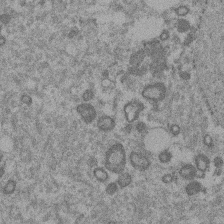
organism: Mouse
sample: Dividing mouse embryo 1 cell stage